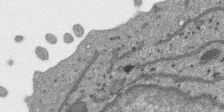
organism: Human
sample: Lung epithelial cells infected with SARS-CoV-2